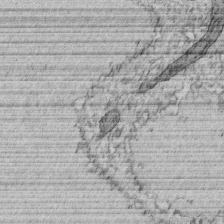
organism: C. elegans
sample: C. elegans embryo early stage